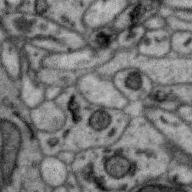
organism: Zebra finch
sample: Brain